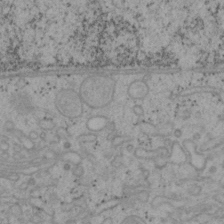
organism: Human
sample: HeLa cells